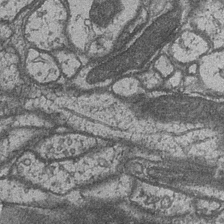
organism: Drosophila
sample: Optic medulla